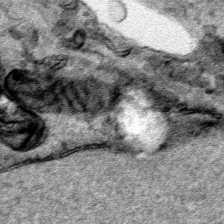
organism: Human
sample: Mitochondria in HCT116 cells